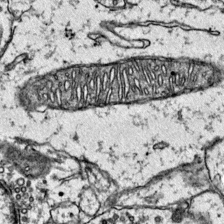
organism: Mouse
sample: Primary visual cortex